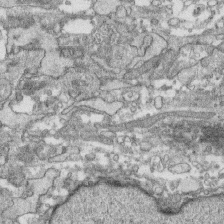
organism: Human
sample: CRL-1474